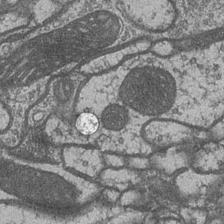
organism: Drosophila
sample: Optic medulla